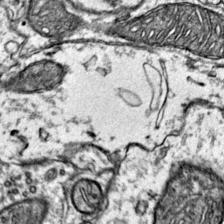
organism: Mouse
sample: Primary visual cortex